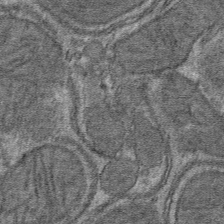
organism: Mouse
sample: Mouse hepatocytes